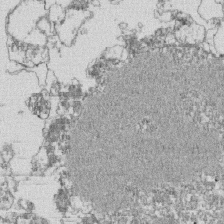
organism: Human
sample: HeLa cell HIV synapse